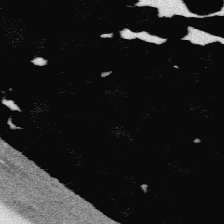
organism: Platynereis dumerilii